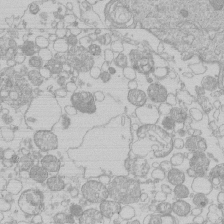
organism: Human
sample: Macrophage cells